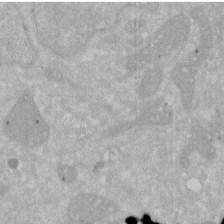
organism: Human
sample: HIV infected U937 cells